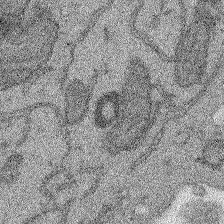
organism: Human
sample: HeLa cells